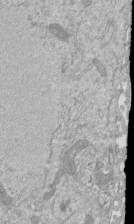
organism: Mouse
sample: ED-1 cell nuclei; centrioles